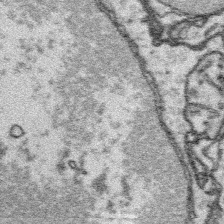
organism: Platynereis dumerilii